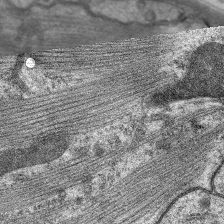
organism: C. elegans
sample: Pharynx